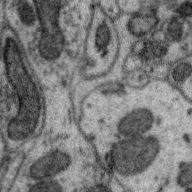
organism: Zebra finch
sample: Brain